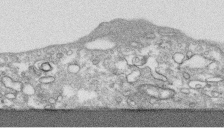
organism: Human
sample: CRL-1474